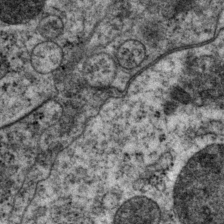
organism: P. pacificus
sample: Pharynx